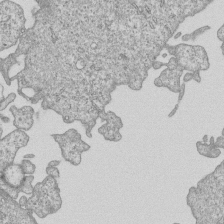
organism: Human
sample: MDA-MB-231 cells